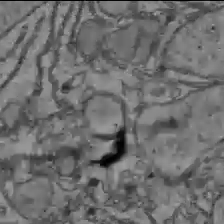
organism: C57BL Mouse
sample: Liver